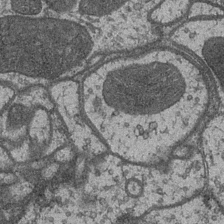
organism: Drosophila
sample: Optic medulla